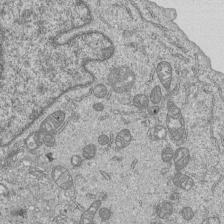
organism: Human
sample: MDA-MB-231 cells